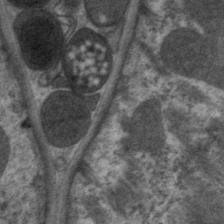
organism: C. elegans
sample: Pharynx